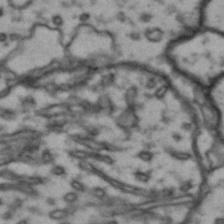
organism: Drosophila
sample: Brain